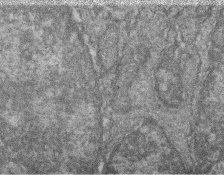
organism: Zebrafish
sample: Cilia; retinal pigment epithelium